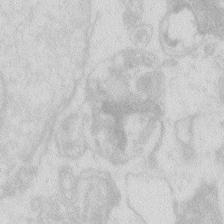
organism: Zebrafish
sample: Macrophage